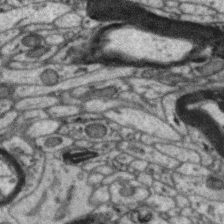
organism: Zebra finch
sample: Brain